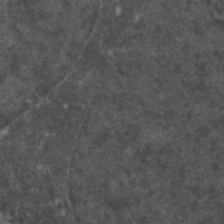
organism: Zebrafish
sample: Zebrafish embryo